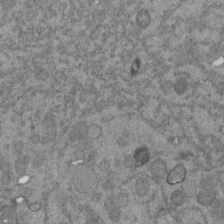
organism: C. elegans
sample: C. elegans embryo early stage